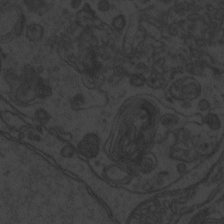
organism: Zebrafish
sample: Macrophage infected with Toxoplasma gondii